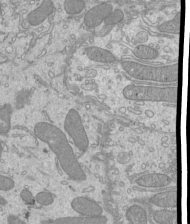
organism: Mouse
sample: Cilia; mouse epididymis